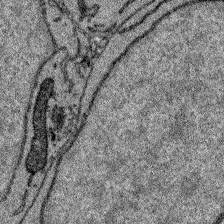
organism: Zebrafish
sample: Larval olfactory bulb